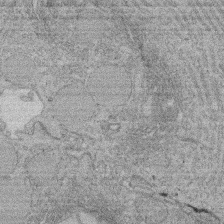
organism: Rat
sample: Salivary granule